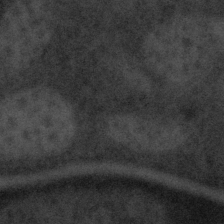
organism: Tuwongella immobilis